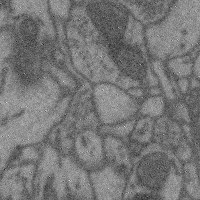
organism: Mouse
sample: Cerebral cortex